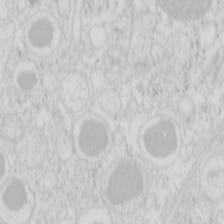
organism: Mouse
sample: Pancreas